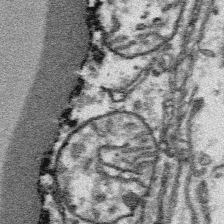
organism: Platynereis dumerilii